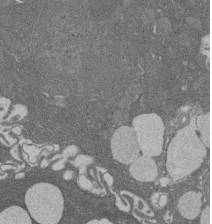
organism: Rat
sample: Salivary granule